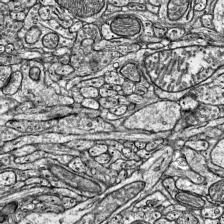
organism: Mouse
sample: Visual Cortex